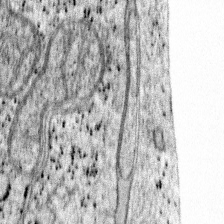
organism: Human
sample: HeLa cells